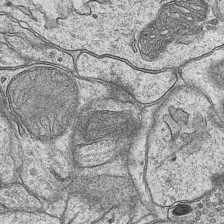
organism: Mouse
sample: CA1 Hippocampus